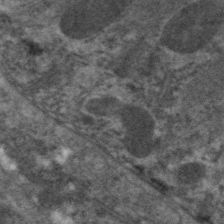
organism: C. elegans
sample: Pharynx